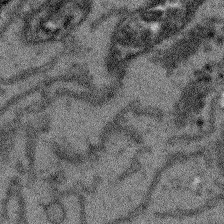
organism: Arabidopsis thaliana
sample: Root tip